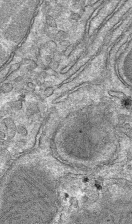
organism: Mouse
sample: Mouse hepatocytes